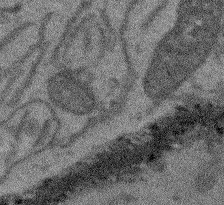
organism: Arabidopsis thaliana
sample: Root tip